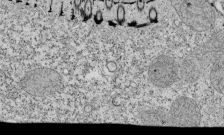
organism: Tetrahymena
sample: Cilia in tetrahymena